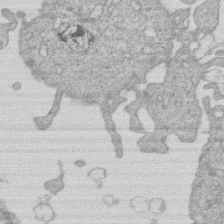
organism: Human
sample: Macrophage cells